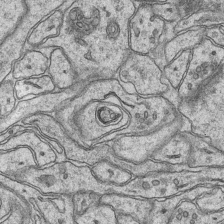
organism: Mouse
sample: CA1 Hippocampus